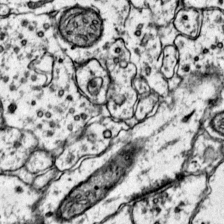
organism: Mouse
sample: Primary visual cortex